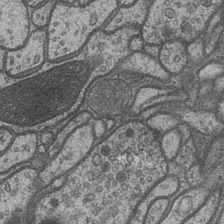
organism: Drosophila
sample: Optic medulla